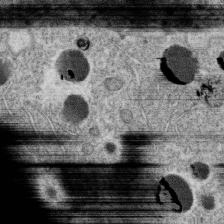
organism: C. elegans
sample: C. elegans oocyte; sperm cells